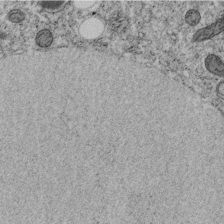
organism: C. elegans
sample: C. elegans embryo early stage